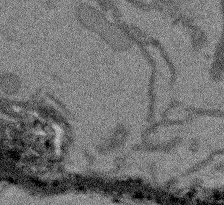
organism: Arabidopsis thaliana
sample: Root tip